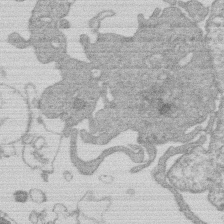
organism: Human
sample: Macrophage cells